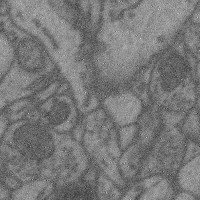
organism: Mouse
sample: Cerebral cortex